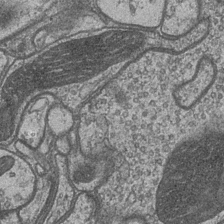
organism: Drosophila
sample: Optic medulla